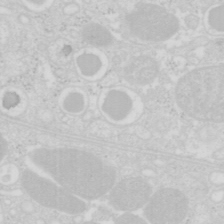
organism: Mouse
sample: Pancreas